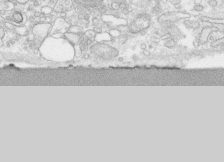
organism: Human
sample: CRL-1474